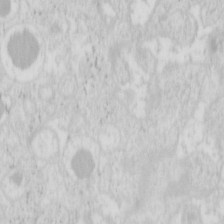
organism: Mouse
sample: Pancreas